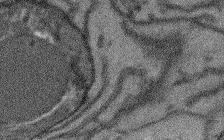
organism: Arabidopsis thaliana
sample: Root tip